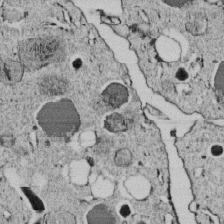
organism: C. elegans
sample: C. elegans embryo early stage